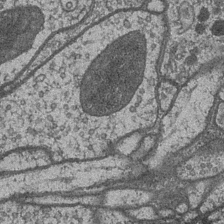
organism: Drosophila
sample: Optic medulla